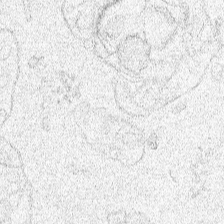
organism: Human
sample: Mitochondria in HCT116 cells